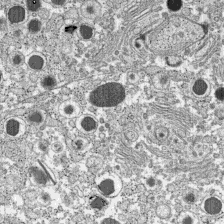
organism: C57BL Mouse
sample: Pancreatic islet